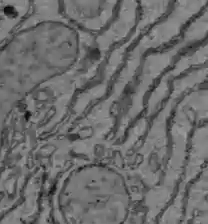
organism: C57BL Mouse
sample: Liver